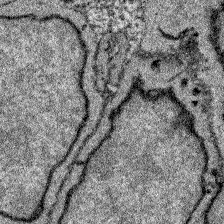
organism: Zebrafish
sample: Larval olfactory bulb